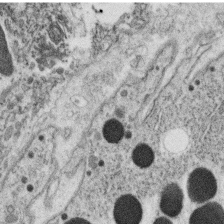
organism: C. elegans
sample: C. elegans oocyte; sperm cells